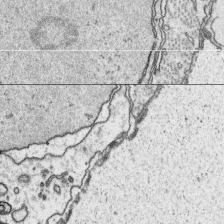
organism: Platynereis dumerilii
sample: Parapodia